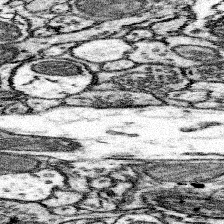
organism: Mouse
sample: Somatosensory cortex neuropil